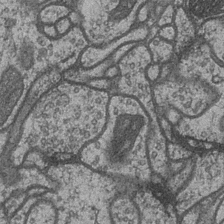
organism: Drosophila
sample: Optic medulla